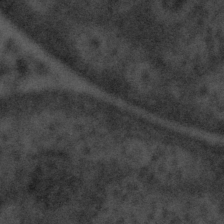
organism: Tuwongella immobilis